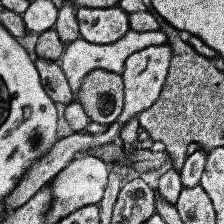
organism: Human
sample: Temporal Lobe